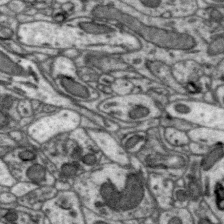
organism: Zebra finch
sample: Brain